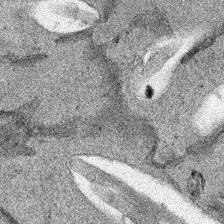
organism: Human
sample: Mitochondria in HCT116 cells